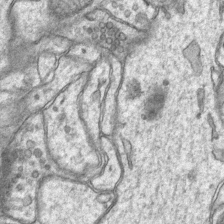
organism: Mouse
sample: CA1 Hippocampus